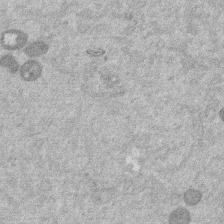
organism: Mouse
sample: Dividing mouse embryo 1 cell stage